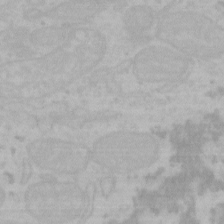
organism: Mouse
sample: Choroid plexus